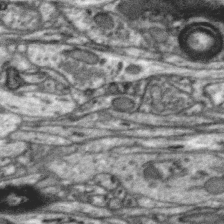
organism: Zebra finch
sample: Brain